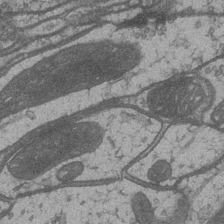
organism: Drosophila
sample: Optic medulla